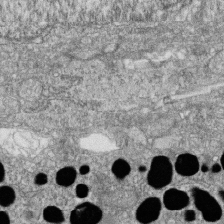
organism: Zebrafish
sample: Cilia; retinal pigment epithelium